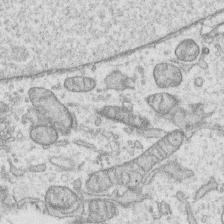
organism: Human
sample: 1205lu cells